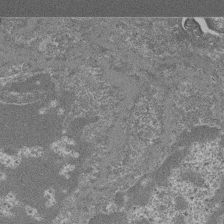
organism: Mouse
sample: Glomerulus